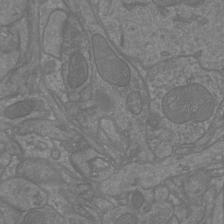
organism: Mouse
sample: Cortical neurons